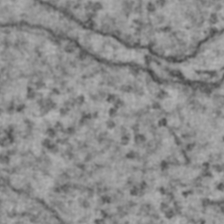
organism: Human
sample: Blood